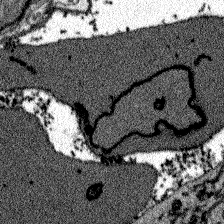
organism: Zebrafish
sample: Larval olfactory bulb